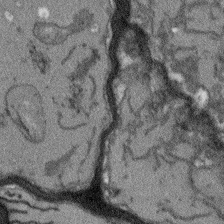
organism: Arabidopsis thaliana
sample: Root tip